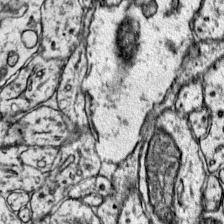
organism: Mouse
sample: Primary visual cortex